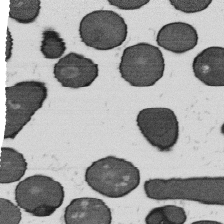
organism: B. subtilis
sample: Bacterial spore